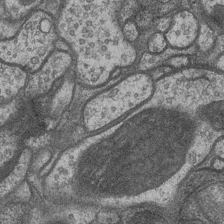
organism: Drosophila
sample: Optic medulla